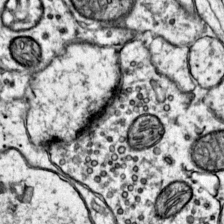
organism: Mouse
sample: Primary visual cortex